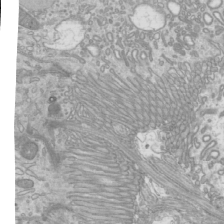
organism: Mouse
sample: Cilia; mouse epididymis